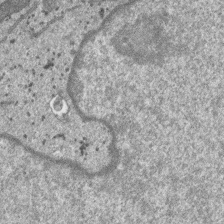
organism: Human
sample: Lung epithelial cells infected with SARS-CoV-2